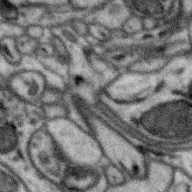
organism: Zebra finch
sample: Brain